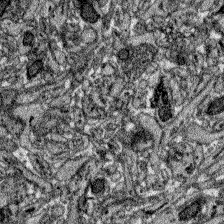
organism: Zebrafish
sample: Larval olfactory bulb